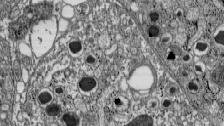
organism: C57BL Mouse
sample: Pancreatic islet